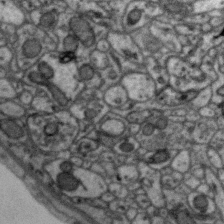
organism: Zebra finch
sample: Brain